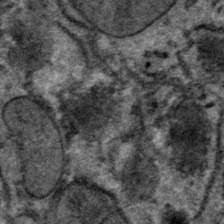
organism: Mouse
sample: Mouse hepatocytes